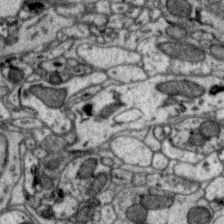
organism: Zebra finch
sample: Brain